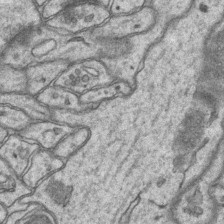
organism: Mouse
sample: CA1 Hippocampus